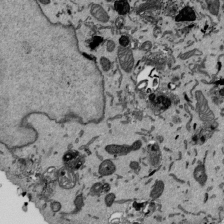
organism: Mouse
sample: ED-1 cell nuclei; centrioles